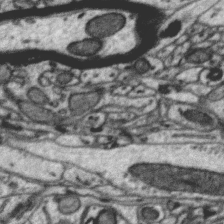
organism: Zebra finch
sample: Brain